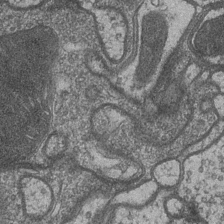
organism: Drosophila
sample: Optic medulla